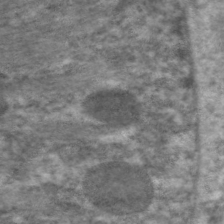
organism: C. elegans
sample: Pharynx